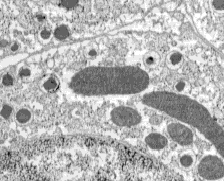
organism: C57BL Mouse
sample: Pancreatic islet